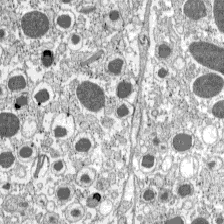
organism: C57BL Mouse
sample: Pancreatic islet